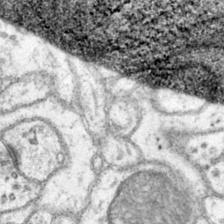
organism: Mouse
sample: Primary visual cortex